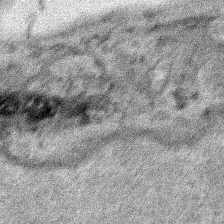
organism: Human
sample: Mitochondria in HCT116 cells